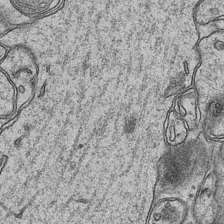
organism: Mouse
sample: CA1 Hippocampus